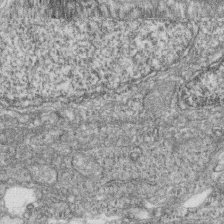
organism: Zebrafish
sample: Cilia; retinal pigment epithelium